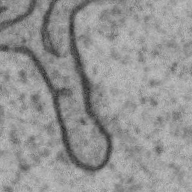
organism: Zebra finch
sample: Brain